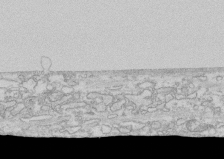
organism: Human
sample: CRL-1474